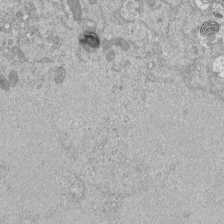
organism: Mouse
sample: ED-1 cell nuclei; centrioles